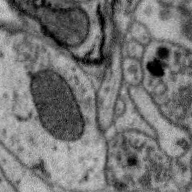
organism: Zebra finch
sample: Brain